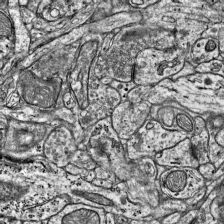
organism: Mouse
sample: Visual Cortex